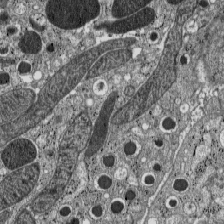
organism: C57BL Mouse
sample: Pancreatic islet